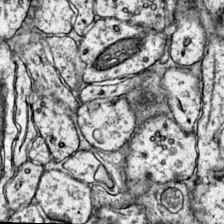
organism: Mouse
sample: Primary visual cortex